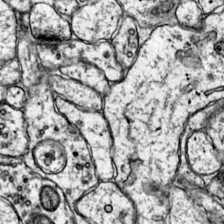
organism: Mouse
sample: Primary visual cortex